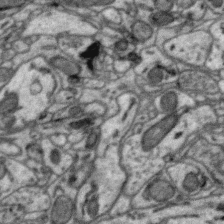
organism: Zebra finch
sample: Brain